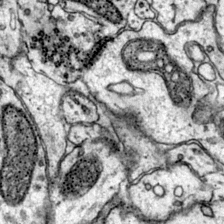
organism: Mouse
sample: Primary visual cortex